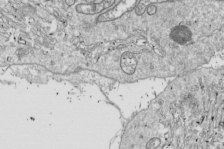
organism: Drosophila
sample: Cell division; meiosis; drosophila spermatocytes